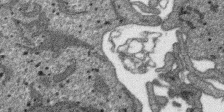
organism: Human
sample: Lung epithelial cells infected with SARS-CoV-2